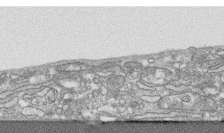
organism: Human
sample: CRL-1474